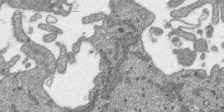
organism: Human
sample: Lung epithelial cells infected with SARS-CoV-2